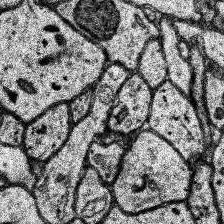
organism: Human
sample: Temporal Lobe